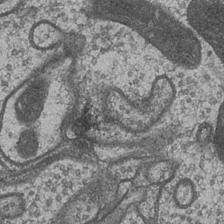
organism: Drosophila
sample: Optic medulla